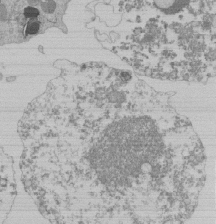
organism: Mouse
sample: Activated Pmel transgenic CD8+ T Cells